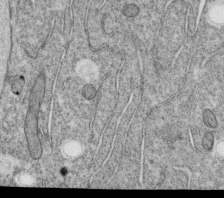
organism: C. elegans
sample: C. elegans oocyte; sperm cells